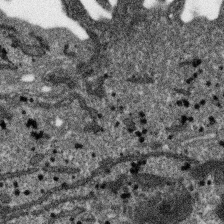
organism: Human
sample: Lung epithelial cells infected with SARS-CoV-2